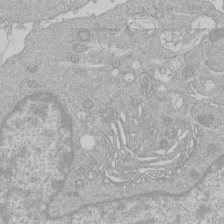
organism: Human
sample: Macrophage cells